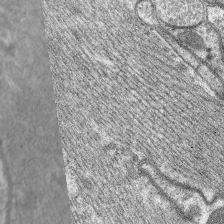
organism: C. elegans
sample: Pharynx